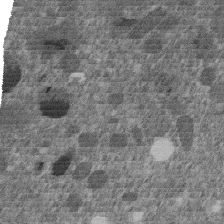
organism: C. elegans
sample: C. elegans embryo early stage